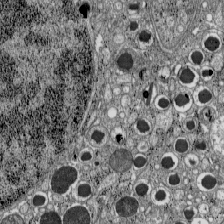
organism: C57BL Mouse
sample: Pancreatic islet